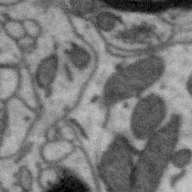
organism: Zebra finch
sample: Brain